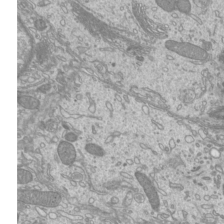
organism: Mouse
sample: Cilia; mouse epididymis